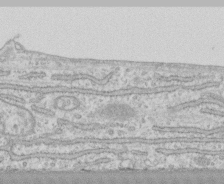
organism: Human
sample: CRL-1474